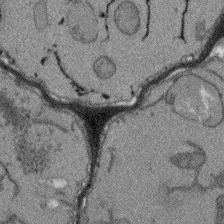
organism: Arabidopsis thaliana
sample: Root tip